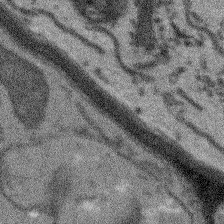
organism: Arabidopsis thaliana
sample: Root tip